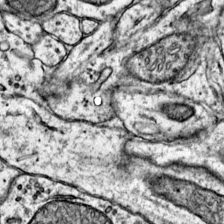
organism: Mouse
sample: Primary visual cortex